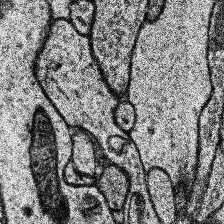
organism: Human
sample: Temporal Lobe